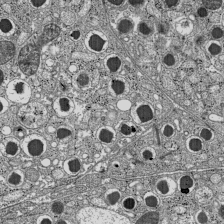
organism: C57BL Mouse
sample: Pancreatic islet